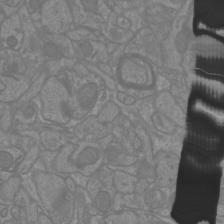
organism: Mouse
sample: Cortical neurons